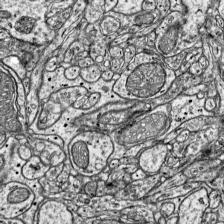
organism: Mouse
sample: Visual Cortex